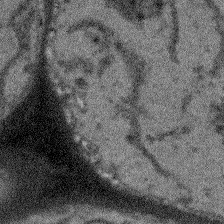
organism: Arabidopsis thaliana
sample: Root tip